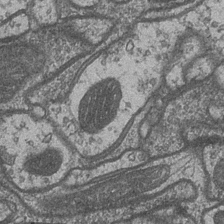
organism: Drosophila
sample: Optic medulla